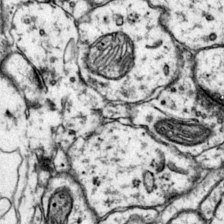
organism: Mouse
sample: Primary visual cortex